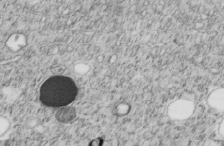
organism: C. elegans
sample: C. elegans embryo early stage